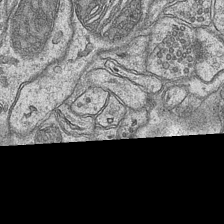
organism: Mouse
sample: CA1 Hippocampus